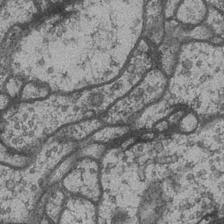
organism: Drosophila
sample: Optic medulla